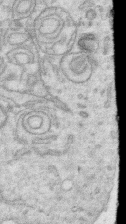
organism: Human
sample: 1205lu cells